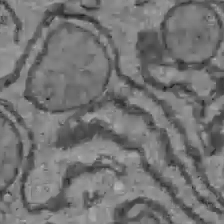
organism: C57BL Mouse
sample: Liver